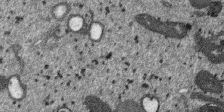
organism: Human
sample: Lung epithelial cells infected with SARS-CoV-2